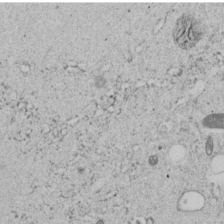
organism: C. elegans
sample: C. elegans embryo early stage